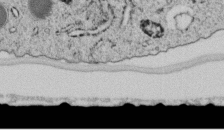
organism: C. elegans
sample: C. elegans embryo early stage